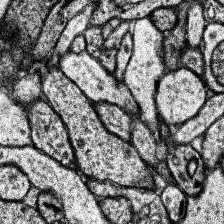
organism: Human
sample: Temporal Lobe